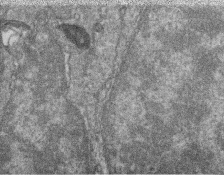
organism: Zebrafish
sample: Cilia; retinal pigment epithelium